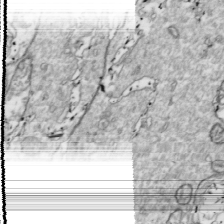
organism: Drosophila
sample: Cell division; meiosis; drosophila spermatocytes